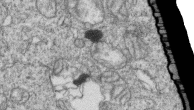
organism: Human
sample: HeLa cell HIV synapse